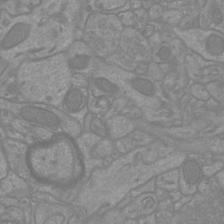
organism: Mouse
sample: Cortical neurons